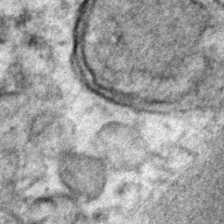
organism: Human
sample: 1205lu cells